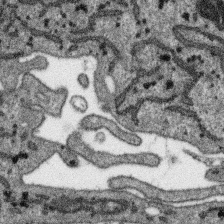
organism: Human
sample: Lung epithelial cells infected with SARS-CoV-2